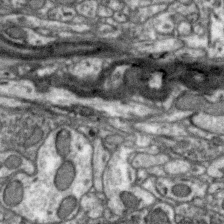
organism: Zebra finch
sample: Brain